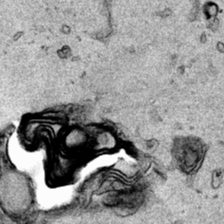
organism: Human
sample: Mitochondria in HCT116 cells